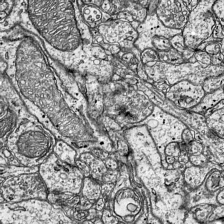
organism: Mouse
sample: Visual Cortex